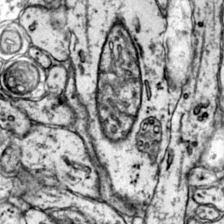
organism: Mouse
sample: Primary visual cortex